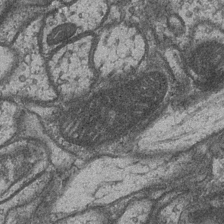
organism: Drosophila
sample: Optic medulla